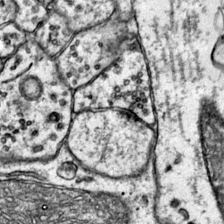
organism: Mouse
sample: Primary visual cortex